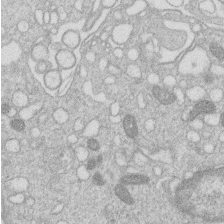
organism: Human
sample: Macrophage cells